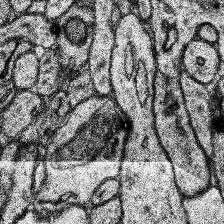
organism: Human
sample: Temporal Lobe